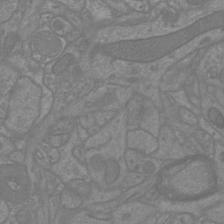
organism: Mouse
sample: Cortical neurons